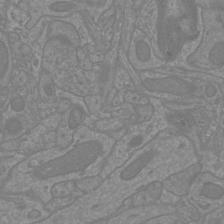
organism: Mouse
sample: Cortical neurons